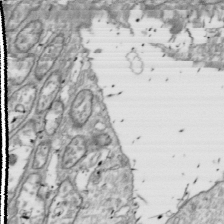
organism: Drosophila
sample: Cell division; meiosis; drosophila spermatocytes